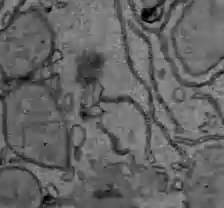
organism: C57BL Mouse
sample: Liver